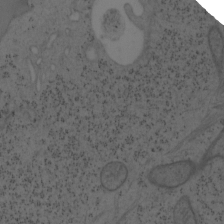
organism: Mouse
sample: OT-I killer T cells with ID8 ovarian cancer cells